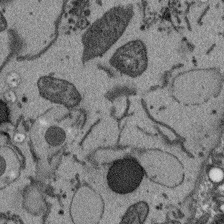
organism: Arabidopsis thaliana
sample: Root tip